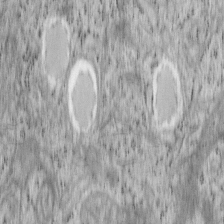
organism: Human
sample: HeLa cells